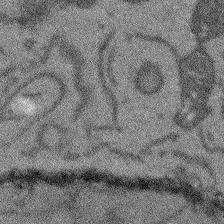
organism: Arabidopsis thaliana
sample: Root tip